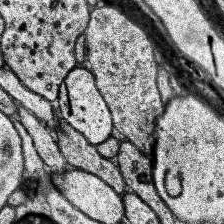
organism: Human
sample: Temporal Lobe